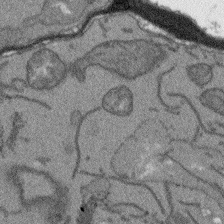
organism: Arabidopsis thaliana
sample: Root tip